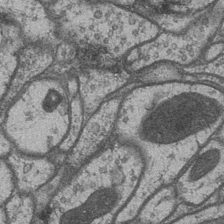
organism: Drosophila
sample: Optic medulla